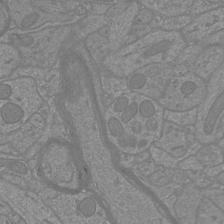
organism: Mouse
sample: Cortical neurons